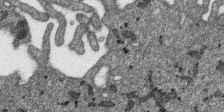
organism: Human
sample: Lung epithelial cells infected with SARS-CoV-2